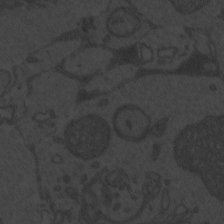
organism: Zebrafish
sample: Macrophage infected with Toxoplasma gondii